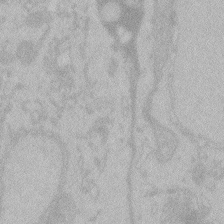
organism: Zebrafish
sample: Macrophage infected with Toxoplasma gondii